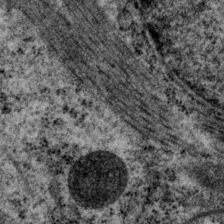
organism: P. pacificus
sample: Pharynx